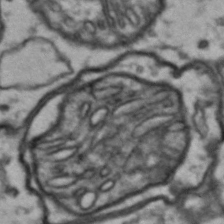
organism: Drosophila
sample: Brain